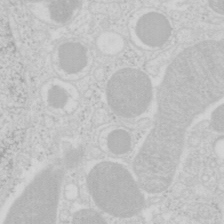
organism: Mouse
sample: Pancreas